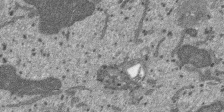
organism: Human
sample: Lung epithelial cells infected with SARS-CoV-2